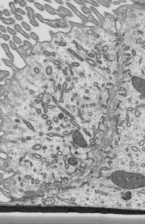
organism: Mouse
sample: Mouse epididymis efferent ductule cilia